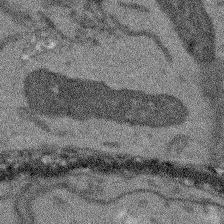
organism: Arabidopsis thaliana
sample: Root tip